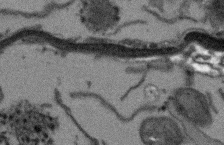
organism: Arabidopsis thaliana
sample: Root tip